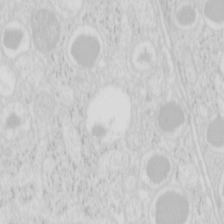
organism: Mouse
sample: Pancreas